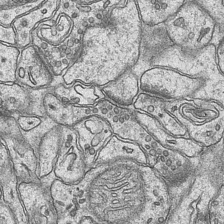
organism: Mouse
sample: CA1 Hippocampus